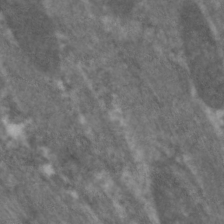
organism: C. elegans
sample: Pharynx